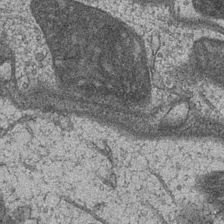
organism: Drosophila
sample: Optic medulla